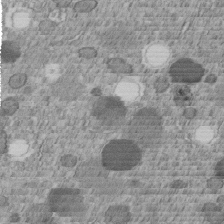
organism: C. elegans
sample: C. elegans embryo early stage